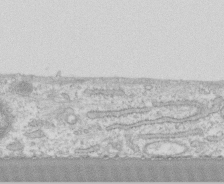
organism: Human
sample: CRL-1474